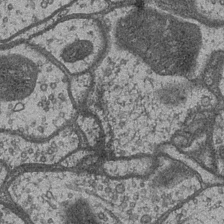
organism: Drosophila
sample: Optic medulla